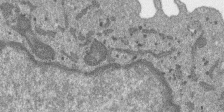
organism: Human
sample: Lung epithelial cells infected with SARS-CoV-2